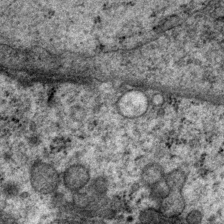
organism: P. pacificus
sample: Pharynx